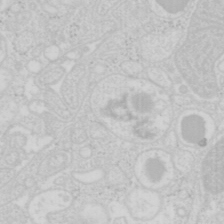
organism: Mouse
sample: Pancreas